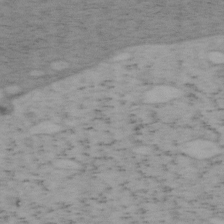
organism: Mouse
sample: OT-I killer T cells with ID8 ovarian cancer cells